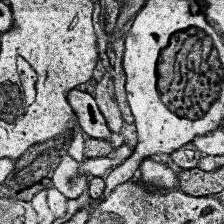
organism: Human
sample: Temporal Lobe